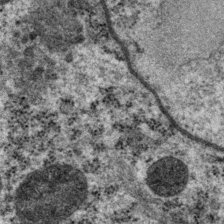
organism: P. pacificus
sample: Pharynx